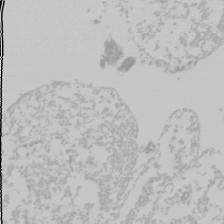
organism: Mouse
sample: Cancer cell death in ED-1 cells